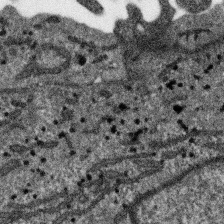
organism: Human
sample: Lung epithelial cells infected with SARS-CoV-2